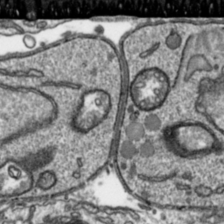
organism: Toxoplasma gondii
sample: Parasites in a vacuole inside a host cell